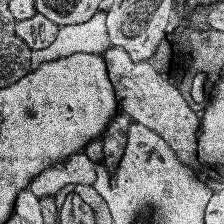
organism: Human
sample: Temporal Lobe